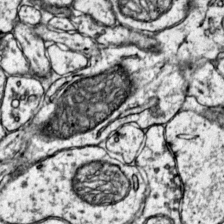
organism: Mouse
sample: Primary visual cortex